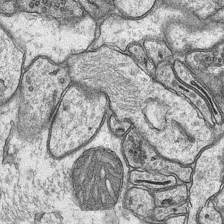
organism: Mouse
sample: CA1 Hippocampus